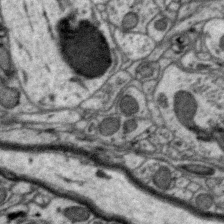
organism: Zebra finch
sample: Brain